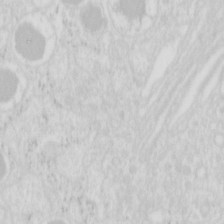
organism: Mouse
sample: Pancreas